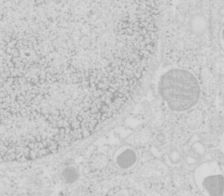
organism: Mouse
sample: Pancreas